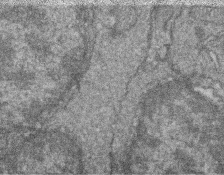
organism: Zebrafish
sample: Cilia; retinal pigment epithelium